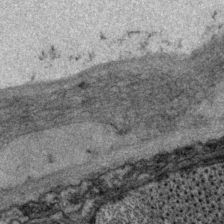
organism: P. pacificus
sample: Pharynx